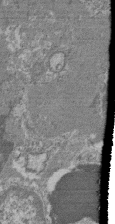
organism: Mouse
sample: Glomerulus